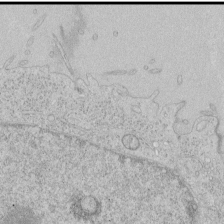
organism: Human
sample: Mitochondria in HCT116 cells